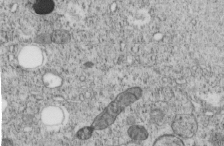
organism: C. elegans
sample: C. elegans embryo early stage